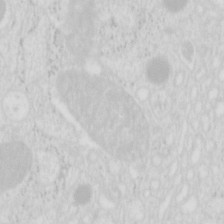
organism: Mouse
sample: Pancreas